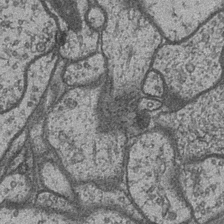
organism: Drosophila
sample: Optic medulla